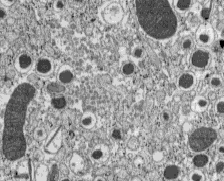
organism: C57BL Mouse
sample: Pancreatic islet